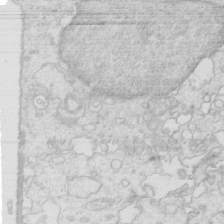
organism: Mouse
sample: Multiciliated cells